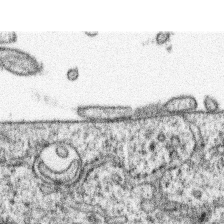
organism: Human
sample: HeLa cells